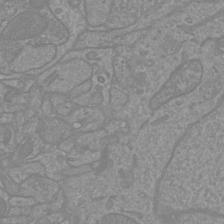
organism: Mouse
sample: Cortical neurons